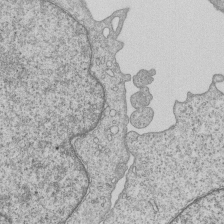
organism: Human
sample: MDA-MB-231 cells